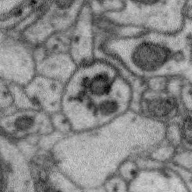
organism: Zebra finch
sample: Brain